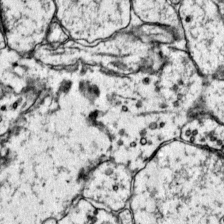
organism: Mouse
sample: Primary visual cortex